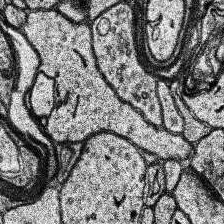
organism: Human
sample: Temporal Lobe